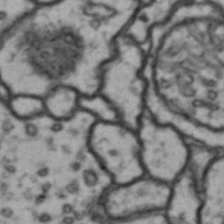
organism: Drosophila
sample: Brain